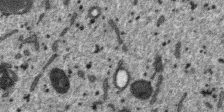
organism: Human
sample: Lung epithelial cells infected with SARS-CoV-2